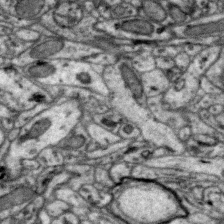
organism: Zebra finch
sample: Brain